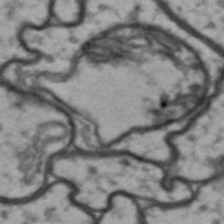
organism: Drosophila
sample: Brain